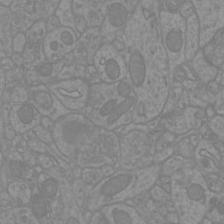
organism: Mouse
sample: Cortical neurons